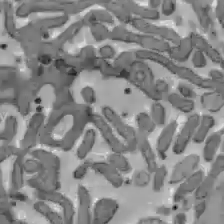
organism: C57BL Mouse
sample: Liver